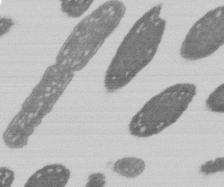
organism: E. coli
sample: Bacterial nucleoid